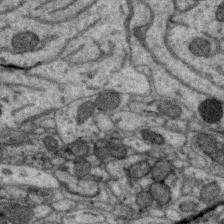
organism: Zebra finch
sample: Brain